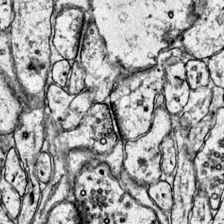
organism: Mouse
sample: Primary visual cortex